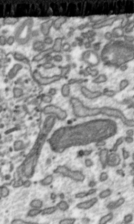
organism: Toxoplasma gondii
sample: Parasites in a vacuole inside a host cell